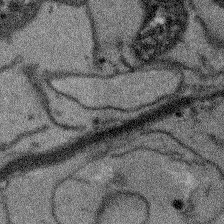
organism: Arabidopsis thaliana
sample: Root tip